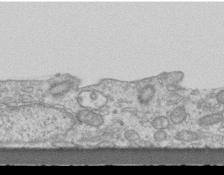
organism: Mouse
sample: Centriole in ependymal cells